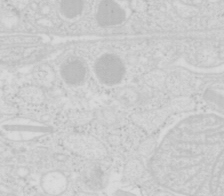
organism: Mouse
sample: Pancreas